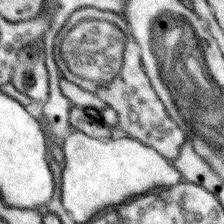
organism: Mouse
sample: Somatosensory cortex neuropil